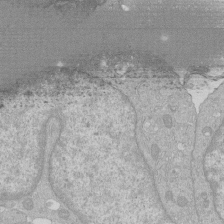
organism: Human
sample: Macrophage cells